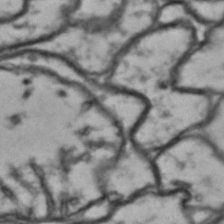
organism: Drosophila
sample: Brain